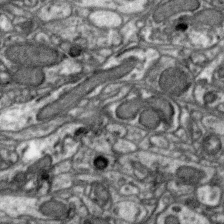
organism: Zebra finch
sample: Brain